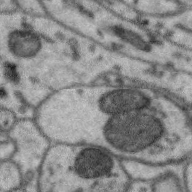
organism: Zebra finch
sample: Brain